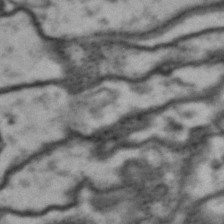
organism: Drosophila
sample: Brain